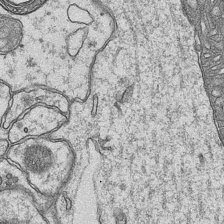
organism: Mouse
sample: CA1 Hippocampus